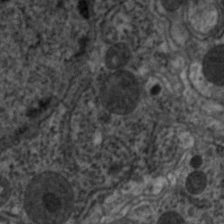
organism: C. elegans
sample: Pharynx